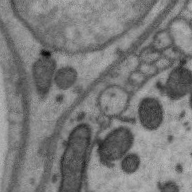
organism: Zebra finch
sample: Brain